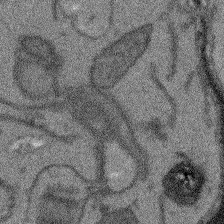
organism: Arabidopsis thaliana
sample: Root tip